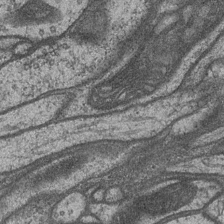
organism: Drosophila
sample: Optic medulla